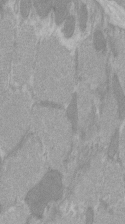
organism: C57BL Mouse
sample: Tibialis anterior muscle cell